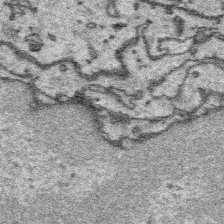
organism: Platynereis dumerilii